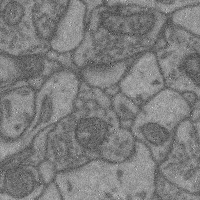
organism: Mouse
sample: Cerebral cortex